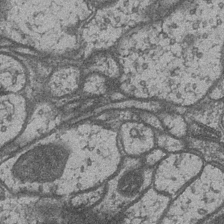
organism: Drosophila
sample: Optic medulla